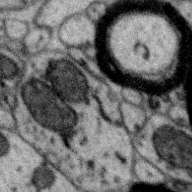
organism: Zebra finch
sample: Brain